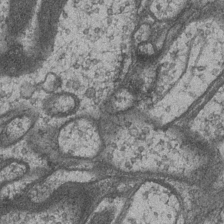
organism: Drosophila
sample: Optic medulla